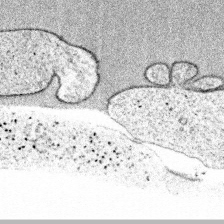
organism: Human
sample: HeLa cells